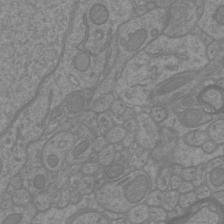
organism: Mouse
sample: Cortical neurons